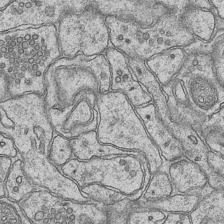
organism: Mouse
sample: CA1 Hippocampus